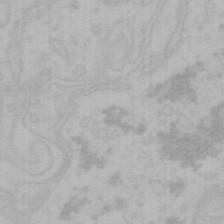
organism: Mouse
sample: Choroid plexus